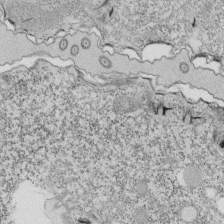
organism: Tetrahymena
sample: Cilia in tetrahymena